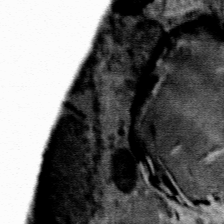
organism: Mouse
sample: Mouse Salivary gland